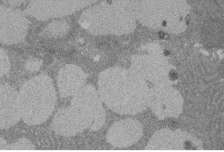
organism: Rat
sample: Salivary granule